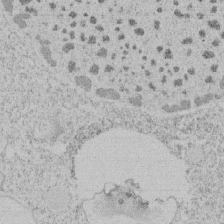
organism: Tetrahymena